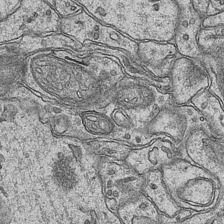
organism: Mouse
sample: CA1 Hippocampus